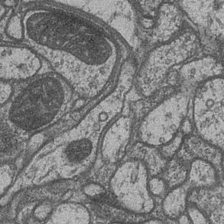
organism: Drosophila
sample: Optic medulla